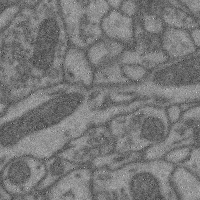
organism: Mouse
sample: Cerebral cortex